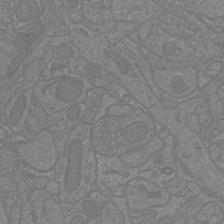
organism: Mouse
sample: Cortical neurons